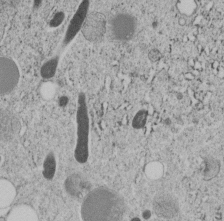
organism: C. elegans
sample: C. elegans embryo early stage